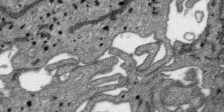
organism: Human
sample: Lung epithelial cells, uninfected (mock) control